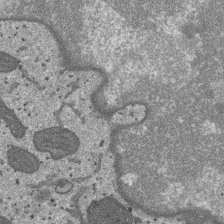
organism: Human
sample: Lung epithelial cells infected with SARS-CoV-2